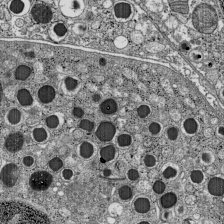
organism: C57BL Mouse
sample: Pancreatic islet